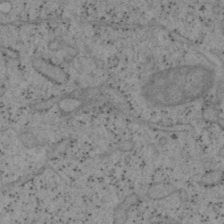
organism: Human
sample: HeLa cells